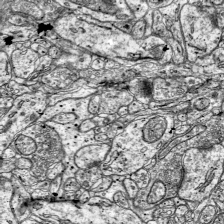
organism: Mouse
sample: Visual Cortex